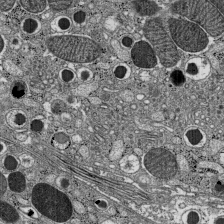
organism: C57BL Mouse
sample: Pancreatic islet